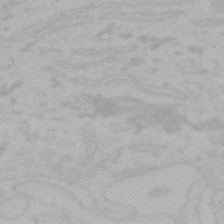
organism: Mouse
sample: Choroid plexus